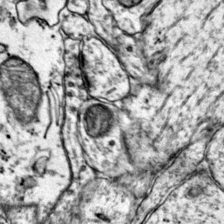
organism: Mouse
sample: Primary visual cortex